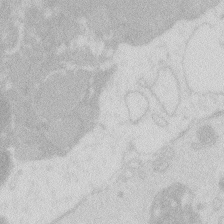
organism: Zebrafish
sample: Macrophage